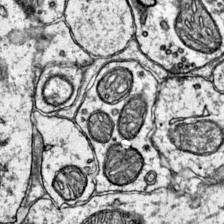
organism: Mouse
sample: Primary visual cortex